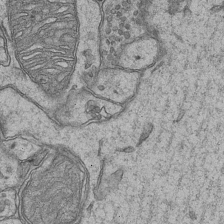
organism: Mouse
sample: CA1 Hippocampus